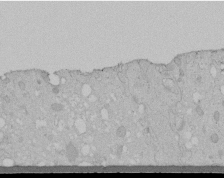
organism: Human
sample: Melanocyte Keratinocyte synapse skin construct